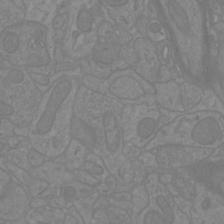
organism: Mouse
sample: Cortical neurons